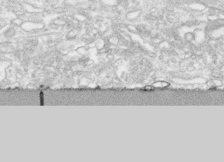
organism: Human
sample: CRL-1474